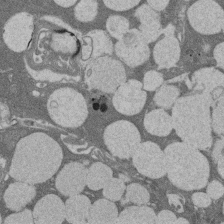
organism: Rat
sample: Salivary granule